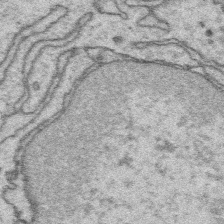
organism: Platynereis dumerilii